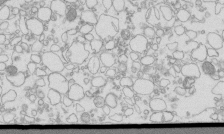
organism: Mouse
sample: Macrophages